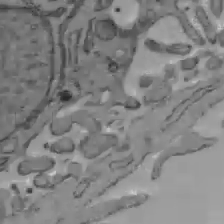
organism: C57BL Mouse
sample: Liver